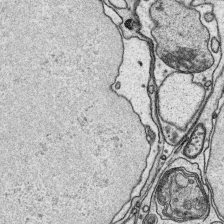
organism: Platynereis dumerilii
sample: Parapodia